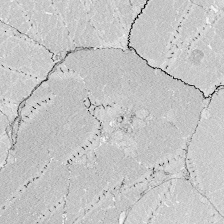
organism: Zebrafish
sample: Whole-Brain